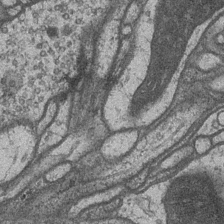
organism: Drosophila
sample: Optic medulla